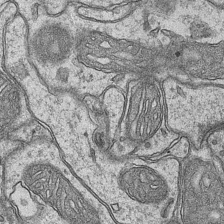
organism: Mouse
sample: CA1 Hippocampus